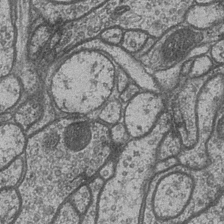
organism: Drosophila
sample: Optic medulla